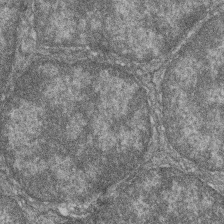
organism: Zebrafish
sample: Cilia; retinal pigment epithelium